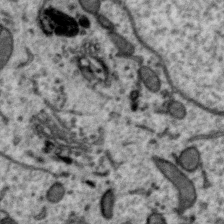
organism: Zebra finch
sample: Brain